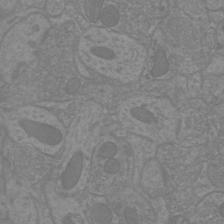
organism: Mouse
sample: Cortical neurons